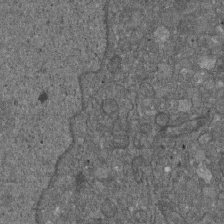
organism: Drosophila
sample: Nephrocyte